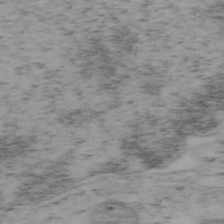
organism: Mouse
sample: OT-I killer T cells with ID8 ovarian cancer cells